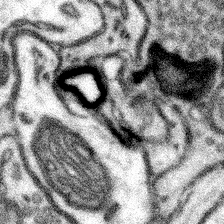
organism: Mouse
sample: Somatosensory cortex neuropil